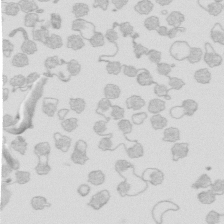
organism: Mouse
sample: Multiciliated cells